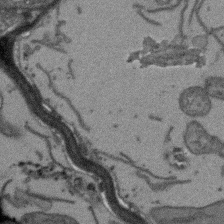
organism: Arabidopsis thaliana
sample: Root tip